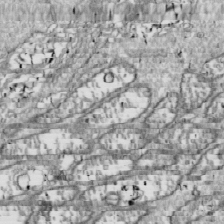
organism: Drosophila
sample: Cell division; meiosis; drosophila spermatocytes